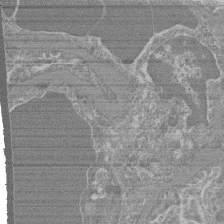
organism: Mouse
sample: Glomerulus